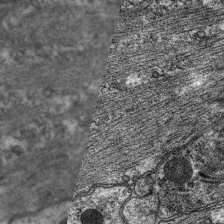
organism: C. elegans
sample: Pharynx